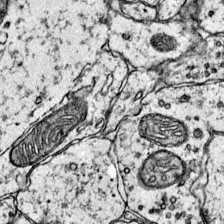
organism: Mouse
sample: Primary visual cortex